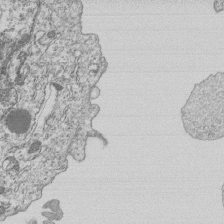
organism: Human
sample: MDA-MB-231 cells